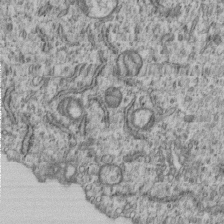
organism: Human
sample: MDA-MB-231 cells